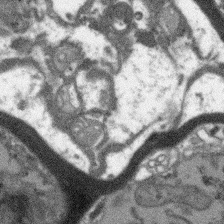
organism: Arabidopsis thaliana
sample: Root tip